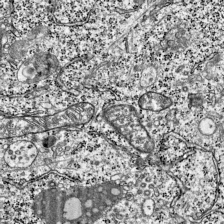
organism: Mouse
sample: Visual Cortex